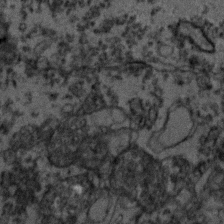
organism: Zebrafish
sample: Zebrafish embryo